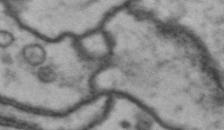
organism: Drosophila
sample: Brain